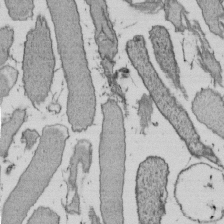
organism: E. coli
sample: Bacterial nucleoid